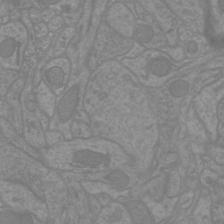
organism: Mouse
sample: Cortical neurons